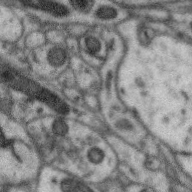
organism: Zebra finch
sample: Brain